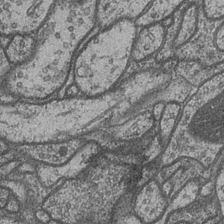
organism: Drosophila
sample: Optic medulla